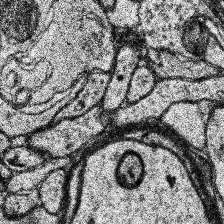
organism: Human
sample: Temporal Lobe